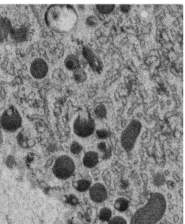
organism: C. elegans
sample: C. elegans oocyte; sperm cells